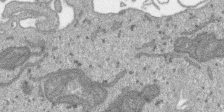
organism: Human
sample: Lung epithelial cells infected with SARS-CoV-2